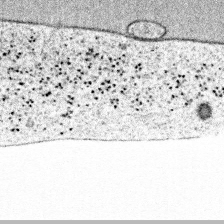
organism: Human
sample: HeLa cells